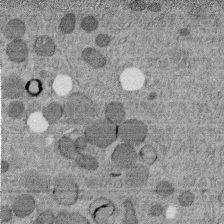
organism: C. elegans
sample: C. elegans embryo early stage